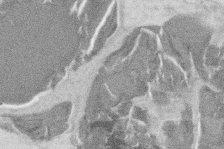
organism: Mouse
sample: T cell stromal cell synapse